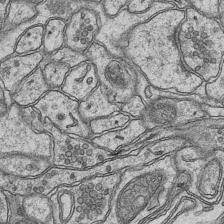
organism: Mouse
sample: CA1 Hippocampus